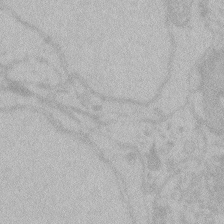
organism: Zebrafish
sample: Macrophage infected with Toxoplasma gondii